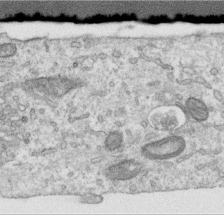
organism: Human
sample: Centriole in RPE cells